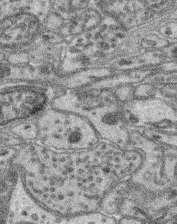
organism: Mouse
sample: Retina